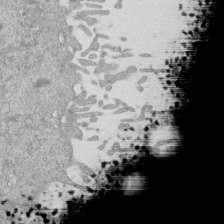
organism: Mouse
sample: ED-1 cell nuclei; centrioles